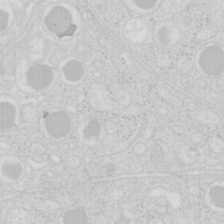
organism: Mouse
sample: Pancreas